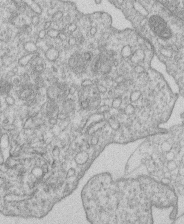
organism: Human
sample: Macrophage cells